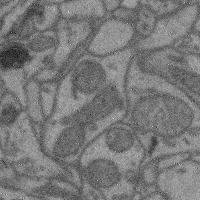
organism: Mouse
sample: Cerebral cortex